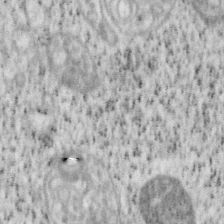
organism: Mouse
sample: OT-I killer T cells with ID8 ovarian cancer cells